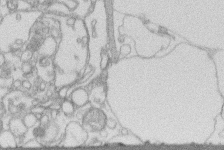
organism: Human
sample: Macrophage cells